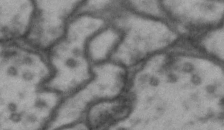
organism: Drosophila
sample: Brain